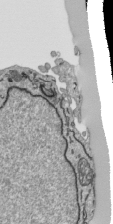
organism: Human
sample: Mitochondria in HCT116 cells